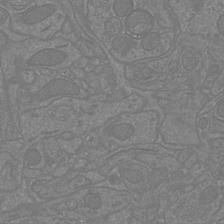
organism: Mouse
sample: Cortical neurons